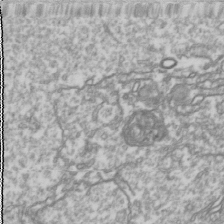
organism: Drosophila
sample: Cell division; meiosis; drosophila spermatocytes